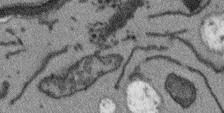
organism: Arabidopsis thaliana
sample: Root tip